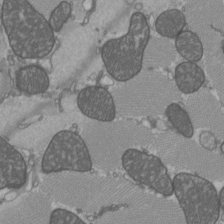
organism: C57BL Mouse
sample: Heart